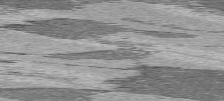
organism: C57BL Mouse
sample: Heart